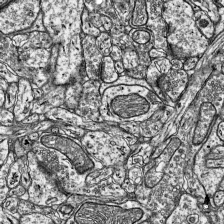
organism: Mouse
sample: Visual Cortex